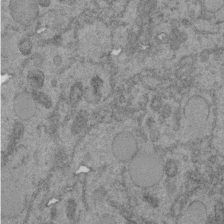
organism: C. elegans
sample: C. elegans embryo early stage